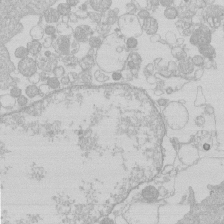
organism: Human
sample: Macrophage cells